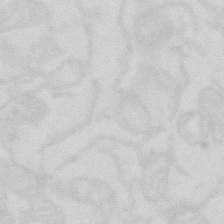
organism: Human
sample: HeLa cells